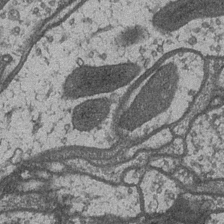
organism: Drosophila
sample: Optic medulla